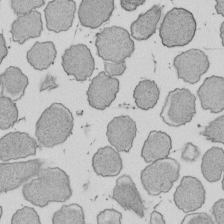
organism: E. coli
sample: Bacterial nucleoid